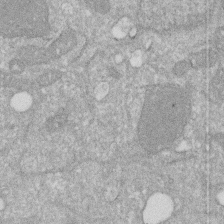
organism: Human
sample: HIV infected U937 cells